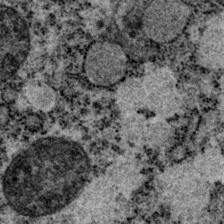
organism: P. pacificus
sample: Pharynx